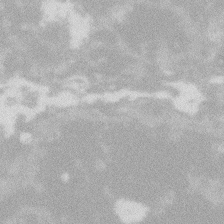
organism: Zebrafish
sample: Macrophage